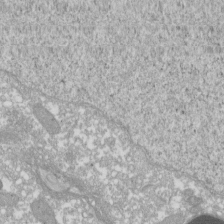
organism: Xenopus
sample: Cilia; centrioles in frog embryo cells